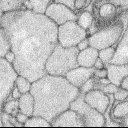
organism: Rabbit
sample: Retina